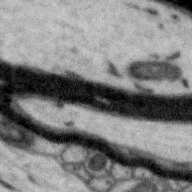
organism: Zebra finch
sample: Brain